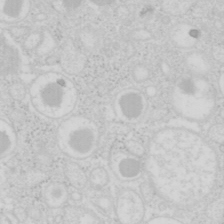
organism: Mouse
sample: Pancreas